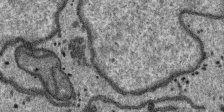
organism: Human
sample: Lung epithelial cells, uninfected (mock) control